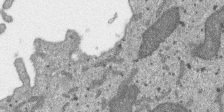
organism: Human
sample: Lung epithelial cells infected with SARS-CoV-2